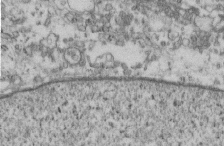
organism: Mouse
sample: Cilia; retinal pigment epithelium